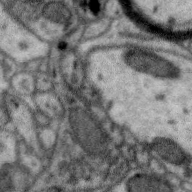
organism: Zebra finch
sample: Brain